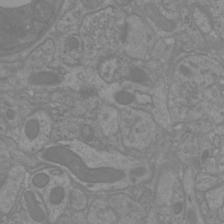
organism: Mouse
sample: Cortical neurons